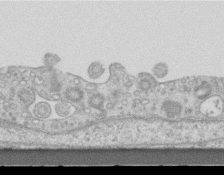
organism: Mouse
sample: Centriole in ependymal cells